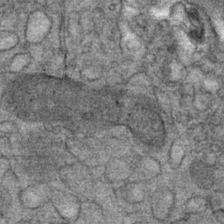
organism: Mouse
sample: Mouse Salivary gland